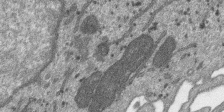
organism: Human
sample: Lung epithelial cells infected with SARS-CoV-2